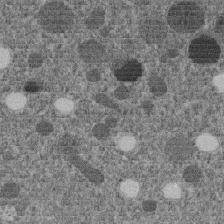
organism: C. elegans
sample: C. elegans embryo early stage